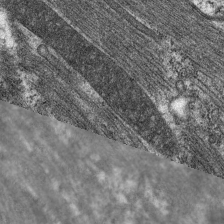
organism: C. elegans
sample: Pharynx